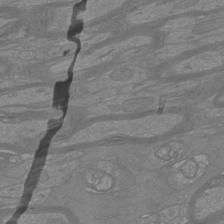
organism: Mouse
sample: Cortical neurons